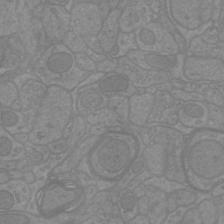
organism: Mouse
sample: Cortical neurons